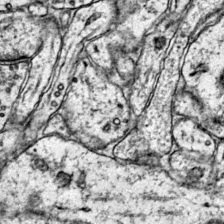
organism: Mouse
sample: Primary visual cortex